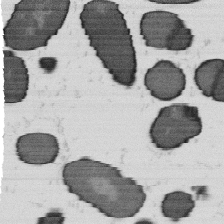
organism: B. subtilis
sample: Bacterial spore